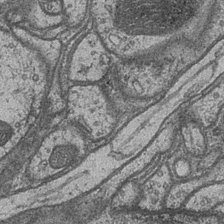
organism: Drosophila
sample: Optic medulla